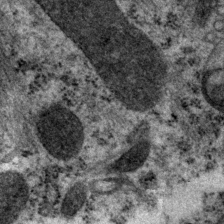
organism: P. pacificus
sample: Pharynx